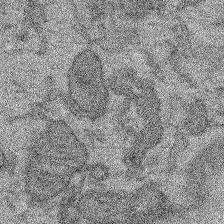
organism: Human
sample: HeLa cells